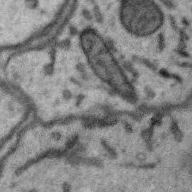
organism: Zebra finch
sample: Brain